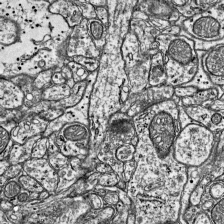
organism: Mouse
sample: Visual Cortex